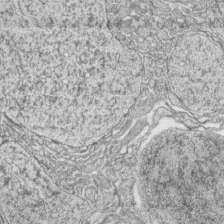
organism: Zebrafish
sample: synaptic ribbons in rod cells and cone cells